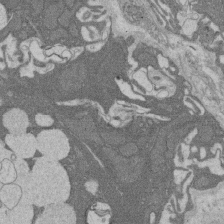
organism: Rat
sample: Salivary granule